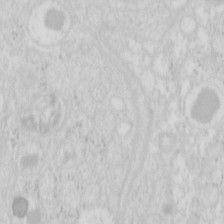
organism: Mouse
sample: Pancreas